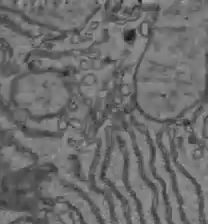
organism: C57BL Mouse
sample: Liver